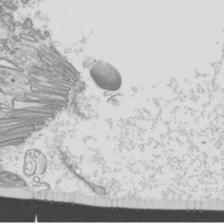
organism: Mouse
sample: Cilia; mouse epididymis